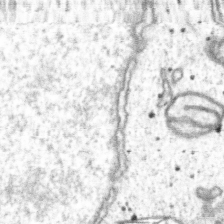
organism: Human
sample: HeLa cells